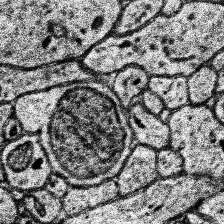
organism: Human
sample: Temporal Lobe